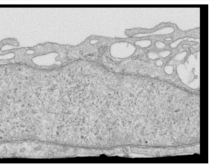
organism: Human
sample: Centriole in RPE cells